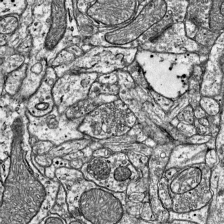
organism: Mouse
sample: Visual Cortex